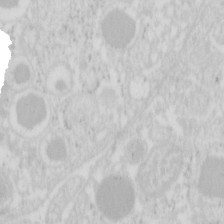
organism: Mouse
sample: Pancreas